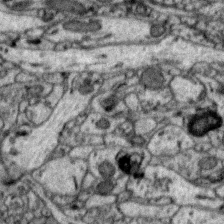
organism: Zebra finch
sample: Brain